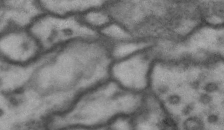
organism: Drosophila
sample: Brain